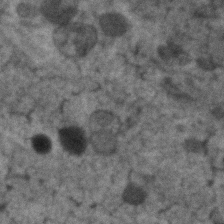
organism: Human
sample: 1205lu cells